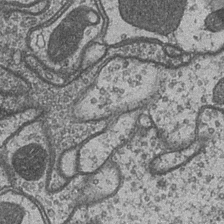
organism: Drosophila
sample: Optic medulla